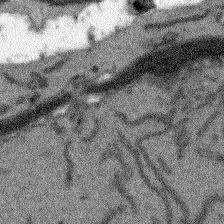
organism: Arabidopsis thaliana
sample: Root tip